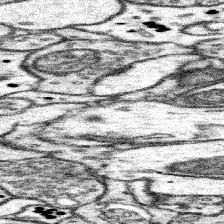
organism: Mouse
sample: Somatosensory cortex neuropil